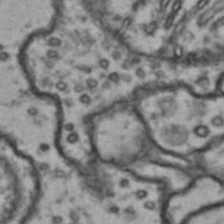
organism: Drosophila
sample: Brain